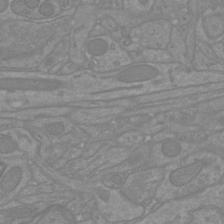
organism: Mouse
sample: Cortical neurons